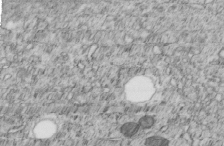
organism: C. elegans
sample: C. elegans embryo early stage